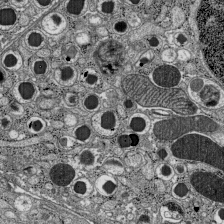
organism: C57BL Mouse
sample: Pancreatic islet